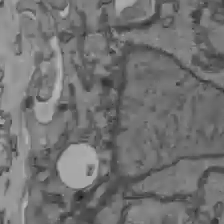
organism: C57BL Mouse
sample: Liver